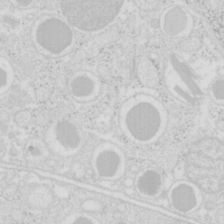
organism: Mouse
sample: Pancreas